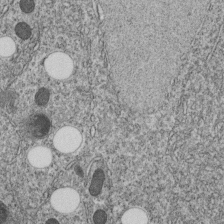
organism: C. elegans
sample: C. elegans embryo early stage